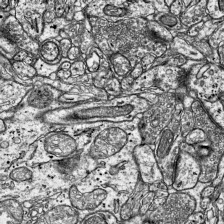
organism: Mouse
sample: Visual Cortex